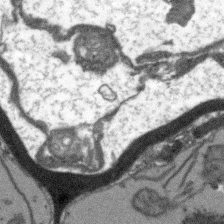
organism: Arabidopsis thaliana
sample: Root tip